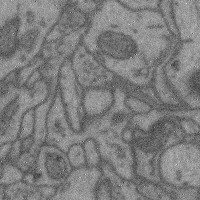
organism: Mouse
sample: Cerebral cortex